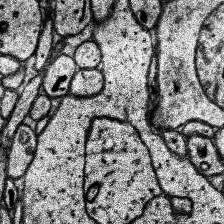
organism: Human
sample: Temporal Lobe